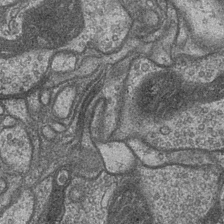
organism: Drosophila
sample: Optic medulla